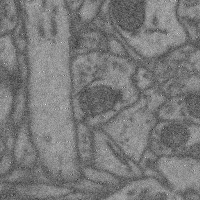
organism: Mouse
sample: Cerebral cortex